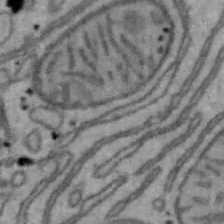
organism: Mouse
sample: Liver